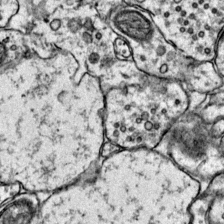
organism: Mouse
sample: Primary visual cortex